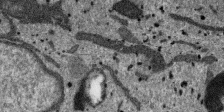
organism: Human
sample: Lung epithelial cells, uninfected (mock) control